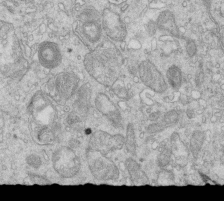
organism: Mouse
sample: Multiciliated cells